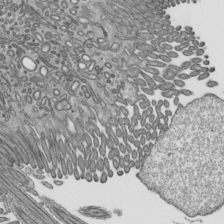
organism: Mouse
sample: Mouse epididymis efferent ductule cilia